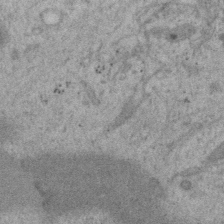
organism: Human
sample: HeLa cells